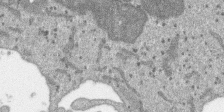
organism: Human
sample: Lung epithelial cells infected with SARS-CoV-2